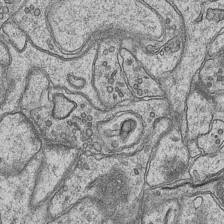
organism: Mouse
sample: CA1 Hippocampus